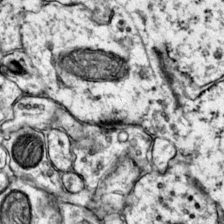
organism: Mouse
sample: Primary visual cortex